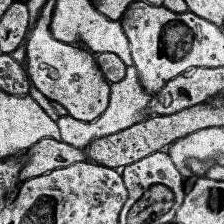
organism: Human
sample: Temporal Lobe